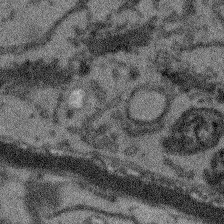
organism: Arabidopsis thaliana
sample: Root tip